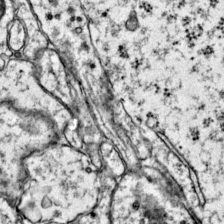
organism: Mouse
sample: Primary visual cortex